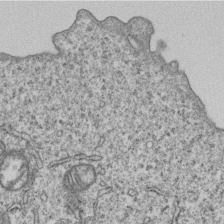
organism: Human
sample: MDA-MB-231 cells